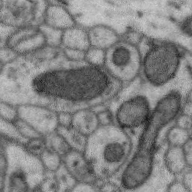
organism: Zebra finch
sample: Brain